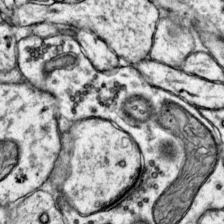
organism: Mouse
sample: Primary visual cortex